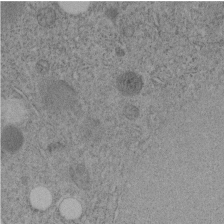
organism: C. elegans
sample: C. elegans embryo early stage